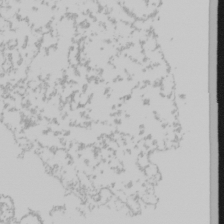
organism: Mouse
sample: Cancer cell death in ED-1 cells